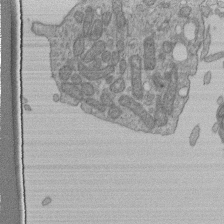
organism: Human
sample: Retinal organoid Rod and Cone cells